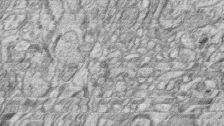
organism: Zebrafish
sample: synaptic ribbons in rod cells and cone cells